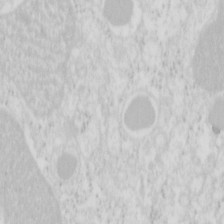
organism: Mouse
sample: Pancreas